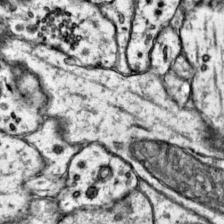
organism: Mouse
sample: Primary visual cortex